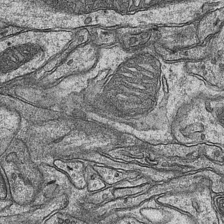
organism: Mouse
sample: CA1 Hippocampus